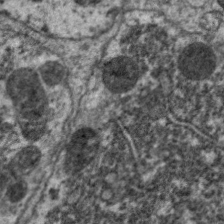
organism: C. elegans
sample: Pharynx